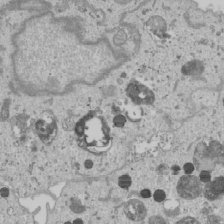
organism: Human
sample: Mitochondria in U2OS cells